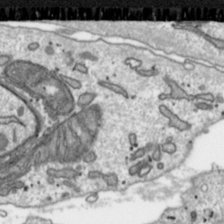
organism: Toxoplasma gondii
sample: Parasites in a vacuole inside a host cell